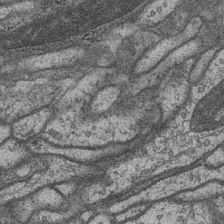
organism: Drosophila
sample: Optic medulla